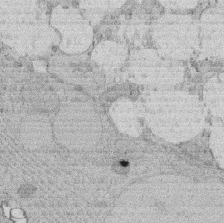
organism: Rat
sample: Salivary granule